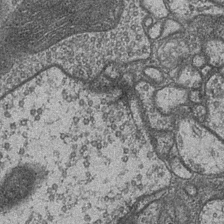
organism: Drosophila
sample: Optic medulla